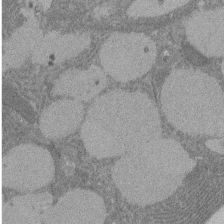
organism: Rat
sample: Salivary granule